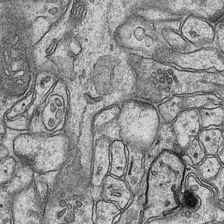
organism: Mouse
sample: CA1 Hippocampus